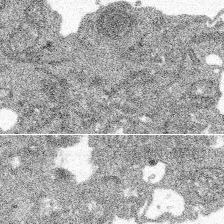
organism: Spongilla lacustris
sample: Multiple